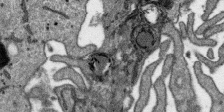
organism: Human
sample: Lung epithelial cells, uninfected (mock) control